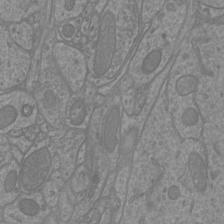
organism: Mouse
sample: Cortical neurons